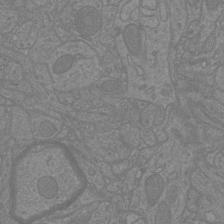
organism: Mouse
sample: Cortical neurons